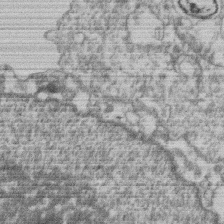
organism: Mouse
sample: T cell stromal cell synapse